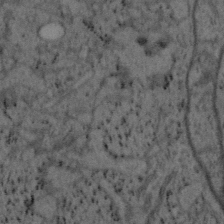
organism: Human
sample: HeLa cells